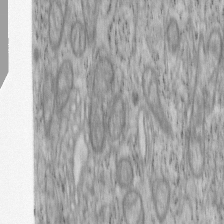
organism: Human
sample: HeLa cells